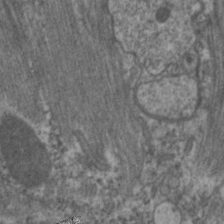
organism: C. elegans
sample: Pharynx